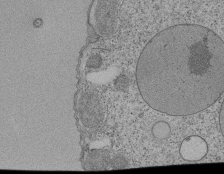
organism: Tetrahymena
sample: Cilia in tetrahymena